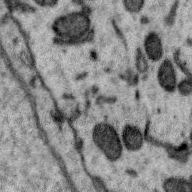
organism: Zebra finch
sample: Brain